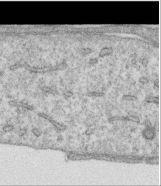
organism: Human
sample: Centriole in RPE cells